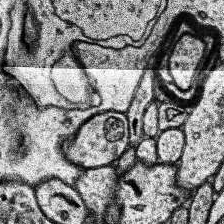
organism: Human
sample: Temporal Lobe